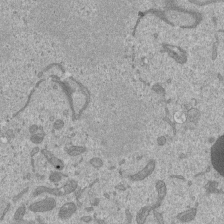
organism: Mouse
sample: ED-1 cell nuclei; centrioles